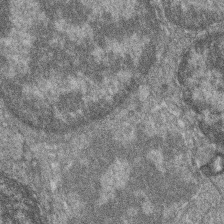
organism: Zebrafish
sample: Cilia; retinal pigment epithelium